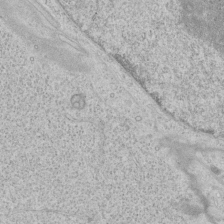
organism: Human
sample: Mitochondria in HCT116 cells